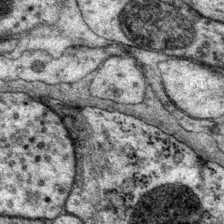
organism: P. pacificus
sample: Pharynx